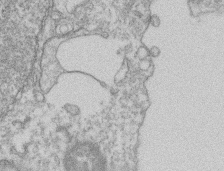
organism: Mouse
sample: T cell stromal cell synapse